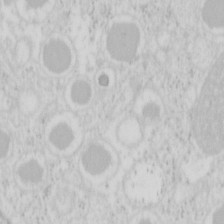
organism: Mouse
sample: Pancreas